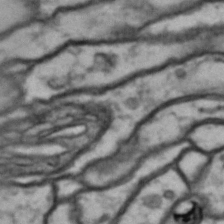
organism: Drosophila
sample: Brain